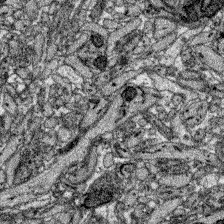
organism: Zebrafish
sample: Larval olfactory bulb